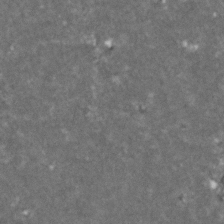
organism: Zebrafish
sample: Zebrafish embryo